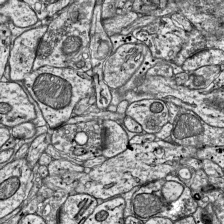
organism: Mouse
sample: Visual Cortex